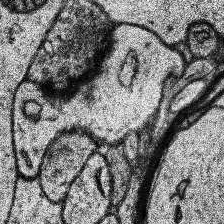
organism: Human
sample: Temporal Lobe